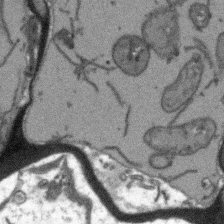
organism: Arabidopsis thaliana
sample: Root tip